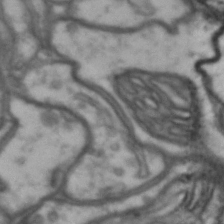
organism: Drosophila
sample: Brain